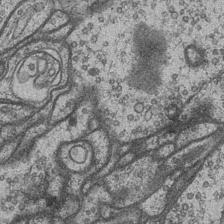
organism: Drosophila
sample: Optic medulla